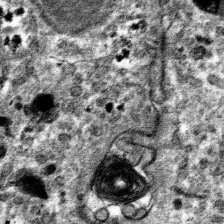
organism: Mouse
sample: Mouse hepatocytes